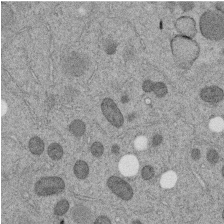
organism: C. elegans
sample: C. elegans embryo early stage